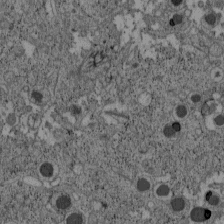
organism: C57BL Mouse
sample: Pancreatic islet